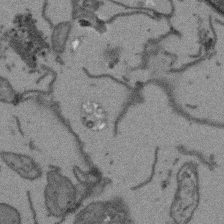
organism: Arabidopsis thaliana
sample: Root tip